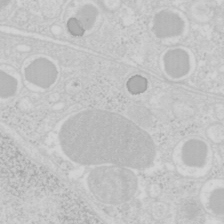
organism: Mouse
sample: Pancreas